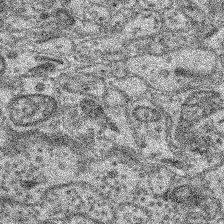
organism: Mouse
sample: Retina